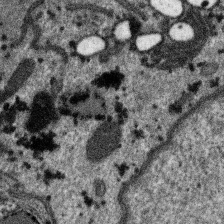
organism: Human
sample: Lung epithelial cells infected with SARS-CoV-2